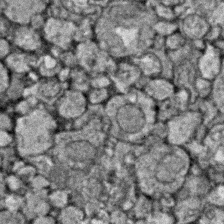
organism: Zebrafish